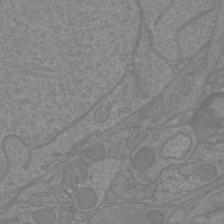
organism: Mouse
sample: Cortical neurons